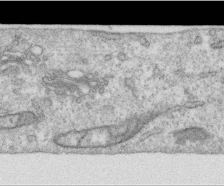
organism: Human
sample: Centriole in RPE cells